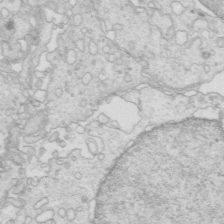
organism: Mouse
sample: Multiciliated cells